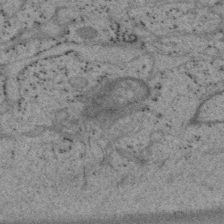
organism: Human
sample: HeLa cells